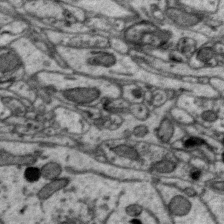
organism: Zebra finch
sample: Brain